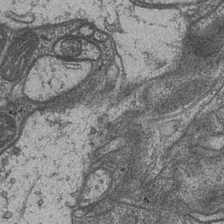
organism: Drosophila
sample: Optic medulla